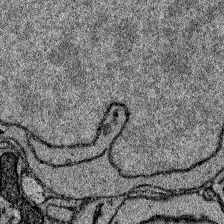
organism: Zebrafish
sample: Larval olfactory bulb